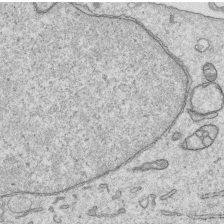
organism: Human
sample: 1205lu cells